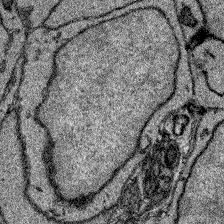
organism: Zebrafish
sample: Larval olfactory bulb